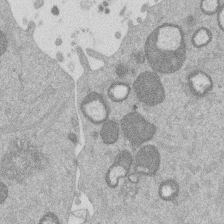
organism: Mouse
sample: Dividing mouse embryo 1 cell stage